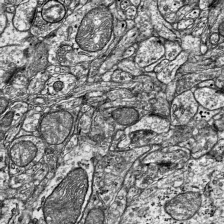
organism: Mouse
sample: Visual Cortex